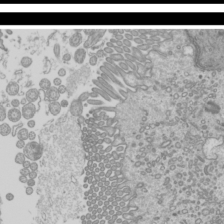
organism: Mouse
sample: Cilia; mouse epididymis